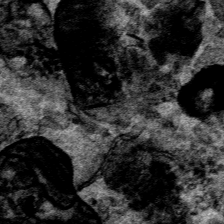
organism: Human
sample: Mitochondria in HCT116 cells